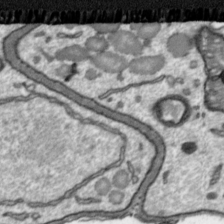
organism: Toxoplasma gondii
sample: Parasites in a vacuole inside a host cell